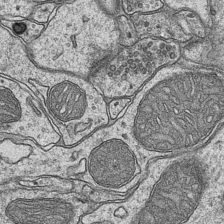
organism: Mouse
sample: CA1 Hippocampus